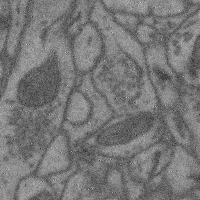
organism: Mouse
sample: Cerebral cortex